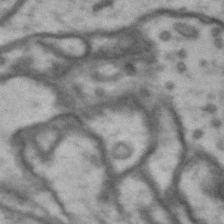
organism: Drosophila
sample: Brain